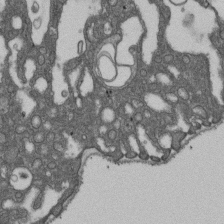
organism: Drosophila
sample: Nephrocyte